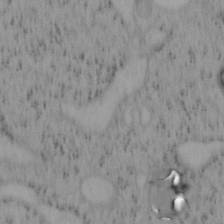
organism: Mouse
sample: OT-I killer T cells with ID8 ovarian cancer cells